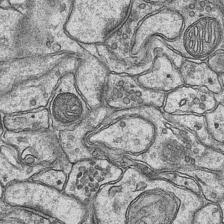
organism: Mouse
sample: CA1 Hippocampus